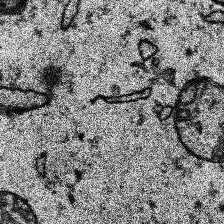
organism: Human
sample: Temporal Lobe